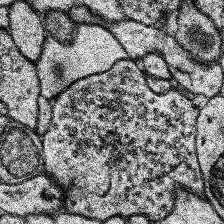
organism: Human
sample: Temporal Lobe